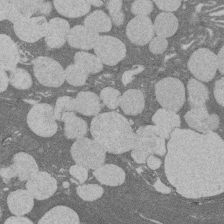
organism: Rat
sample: Salivary granule